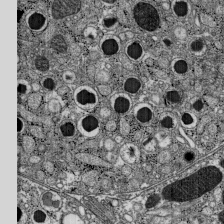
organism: C57BL Mouse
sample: Pancreatic islet